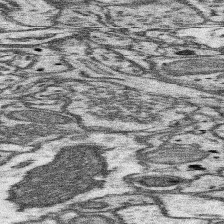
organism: Mouse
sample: Somatosensory cortex neuropil